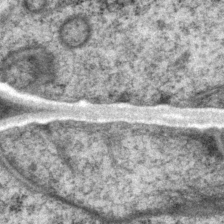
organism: P. pacificus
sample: Pharynx